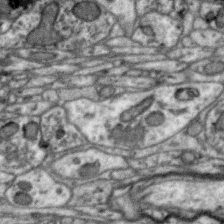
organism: Zebra finch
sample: Brain